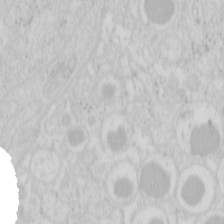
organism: Mouse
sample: Pancreas